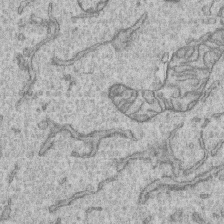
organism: Human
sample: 1205lu cells